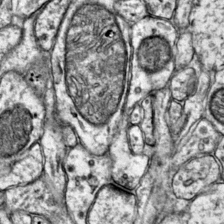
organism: Mouse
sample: Primary visual cortex